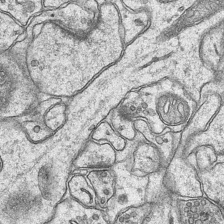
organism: Mouse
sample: CA1 Hippocampus